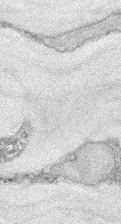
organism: Mouse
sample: Corneal nerves